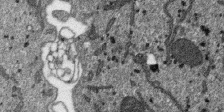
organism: Human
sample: Lung epithelial cells infected with SARS-CoV-2